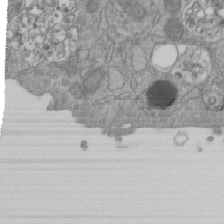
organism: Mouse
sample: ED-1 cell nuclei; centrioles